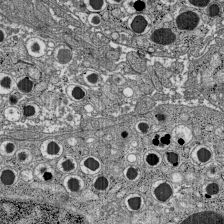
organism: C57BL Mouse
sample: Pancreatic islet